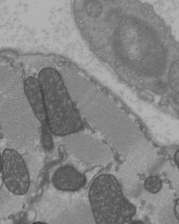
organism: C57BL Mouse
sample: Heart